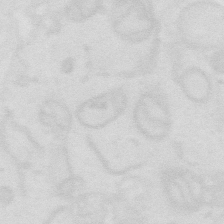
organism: Human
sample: HeLa cells